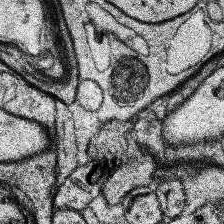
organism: Human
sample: Temporal Lobe